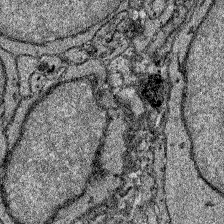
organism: Zebrafish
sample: Larval olfactory bulb